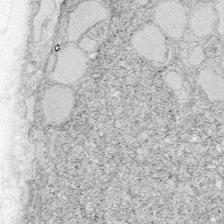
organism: Zebrafish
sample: Whole-Brain